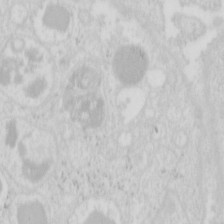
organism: Mouse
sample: Pancreas